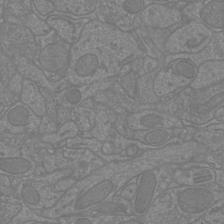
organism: Mouse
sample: Cortical neurons